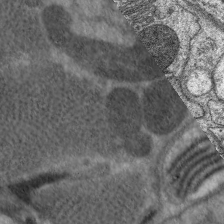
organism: C. elegans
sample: Pharynx